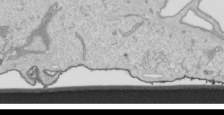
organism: Human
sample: Mitochondria in HCT116 cells